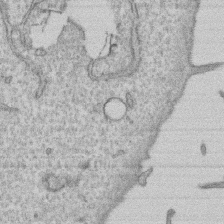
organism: Human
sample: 1205lu cells